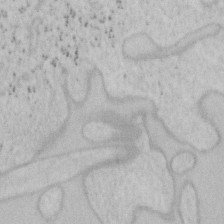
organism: Human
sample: HeLa cells